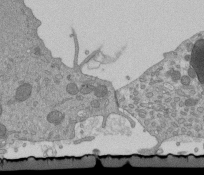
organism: Mouse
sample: ED-1 cell nuclei; centrioles